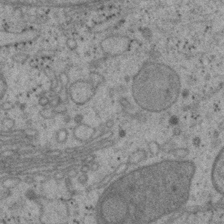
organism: Human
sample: HeLa cells